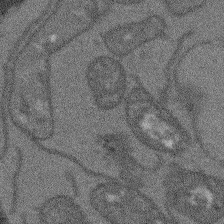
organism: Arabidopsis thaliana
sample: Root tip